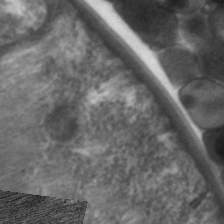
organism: C. elegans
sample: Pharynx